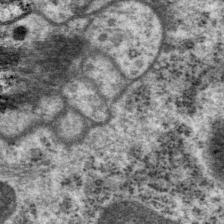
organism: P. pacificus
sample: Pharynx